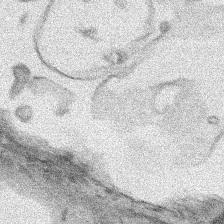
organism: Human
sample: Mitochondria in HCT116 cells